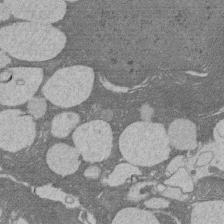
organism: Rat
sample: Salivary granule